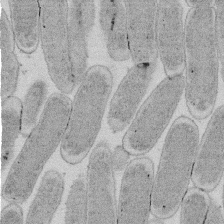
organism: E. coli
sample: Bacterial nucleoid